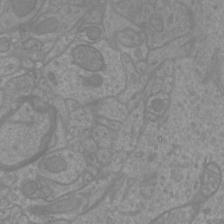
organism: Mouse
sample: Cortical neurons